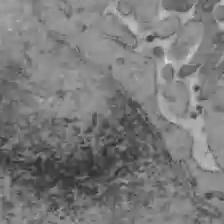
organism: C57BL Mouse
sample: Liver